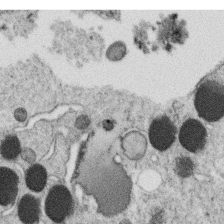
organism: C. elegans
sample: C. elegans oocyte; sperm cells